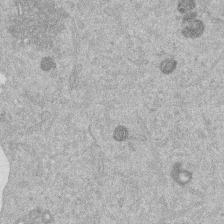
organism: Mouse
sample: Dividing mouse embryo 1 cell stage